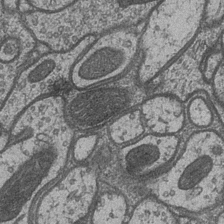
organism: Drosophila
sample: Optic medulla